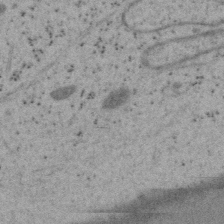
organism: Human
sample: HeLa cells